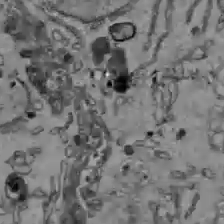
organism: C57BL Mouse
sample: Liver